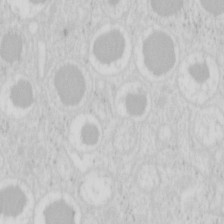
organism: Mouse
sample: Pancreas